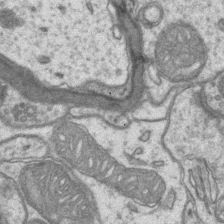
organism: Mouse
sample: CA1 Hippocampus